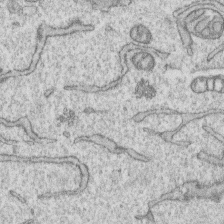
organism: Human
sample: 1205lu cells